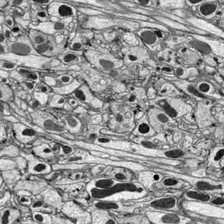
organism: Drosophila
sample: Optic lobe